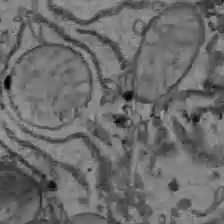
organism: C57BL Mouse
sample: Liver